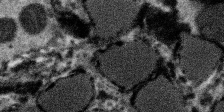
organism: Human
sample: Lung epithelial cells infected with SARS-CoV-2